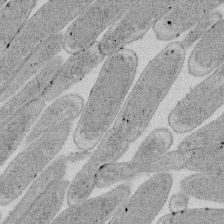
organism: E. coli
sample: Bacterial nucleoid